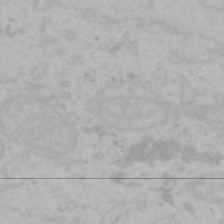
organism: Mouse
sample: Choroid plexus